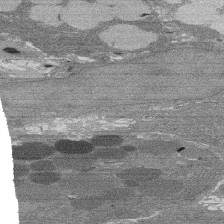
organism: Rat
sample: Salivary granule